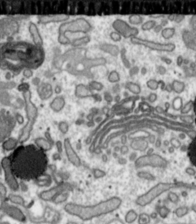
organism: Toxoplasma gondii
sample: Parasites in a vacuole inside a host cell